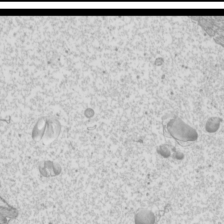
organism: Mouse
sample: Cilia; mouse epididymis